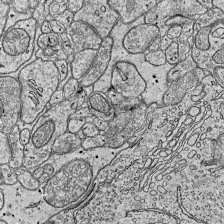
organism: Mouse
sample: Visual Cortex